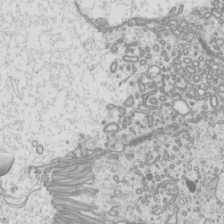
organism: Mouse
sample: Cilia; mouse epididymis